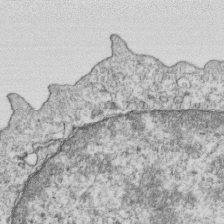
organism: Mouse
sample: Activated OT-1 CD8+ T cells